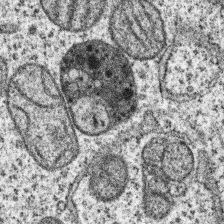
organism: Human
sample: HeLa cells